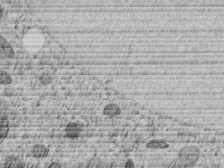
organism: C. elegans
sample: C. elegans embryo early stage